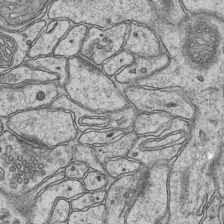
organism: Mouse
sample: CA1 Hippocampus